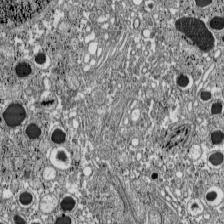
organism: C57BL Mouse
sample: Pancreatic islet